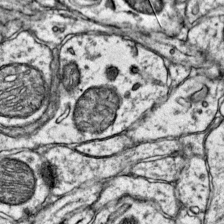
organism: Mouse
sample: Primary visual cortex